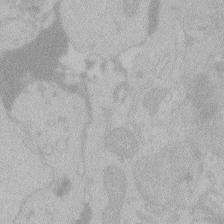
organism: Zebrafish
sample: Macrophage infected with Toxoplasma gondii